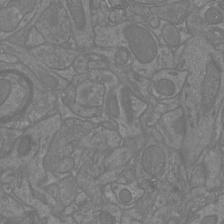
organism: Mouse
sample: Cortical neurons